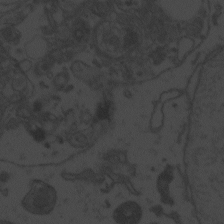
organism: Zebrafish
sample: Macrophage infected with Toxoplasma gondii